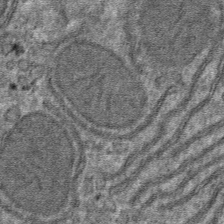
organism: Mouse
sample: Mouse hepatocytes